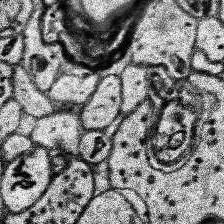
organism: Human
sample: Temporal Lobe